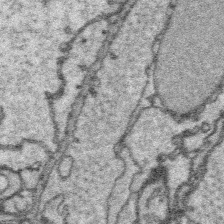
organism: Platynereis dumerilii